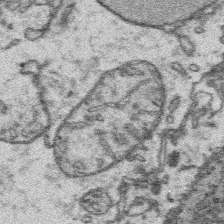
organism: Platynereis dumerilii